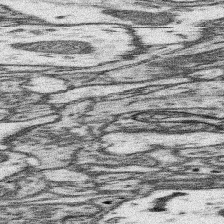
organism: Mouse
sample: Somatosensory cortex neuropil